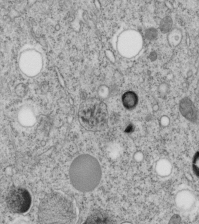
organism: C. elegans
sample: C. elegans embryo early stage